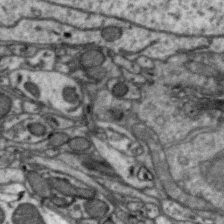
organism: Zebra finch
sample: Brain